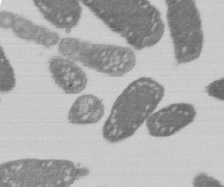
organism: E. coli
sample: Bacterial nucleoid